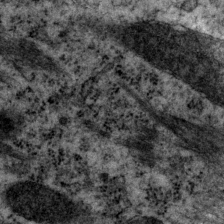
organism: P. pacificus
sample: Pharynx